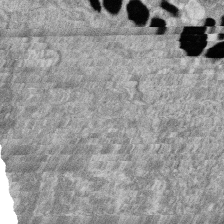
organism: Zebrafish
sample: Cilia; retinal pigment epithelium